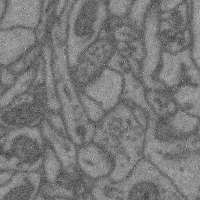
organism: Mouse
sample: Cerebral cortex